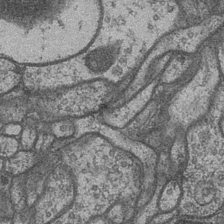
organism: Drosophila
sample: Optic medulla